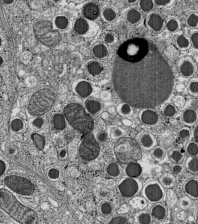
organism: C57BL Mouse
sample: Pancreatic islet